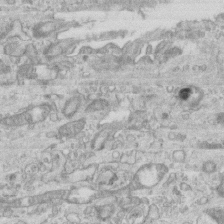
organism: Mouse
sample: Centriole in ependymal cells